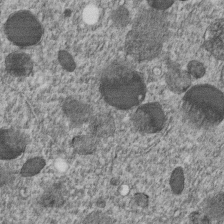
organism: C. elegans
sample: C. elegans embryo early stage